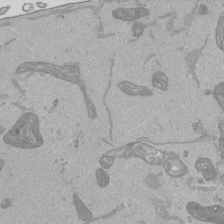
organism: Human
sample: Mitochondria in HCT116 cells